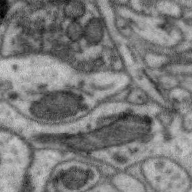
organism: Zebra finch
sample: Brain